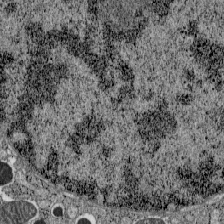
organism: C57BL Mouse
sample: Pancreatic islet